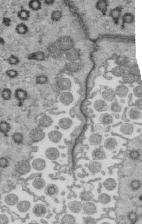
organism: Mouse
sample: Multiciliated cells